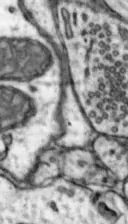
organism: Mouse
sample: Nucleus accumbens